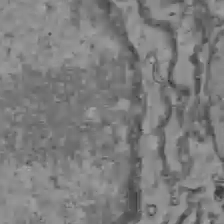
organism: C57BL Mouse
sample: Liver